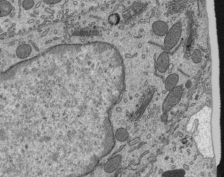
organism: Mouse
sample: Mouse epididymis efferent ductule cilia